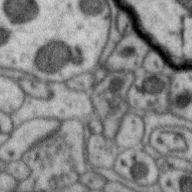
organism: Zebra finch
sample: Brain